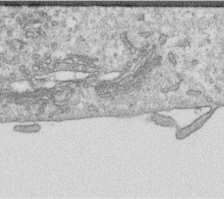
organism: Human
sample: Centriole in RPE cells